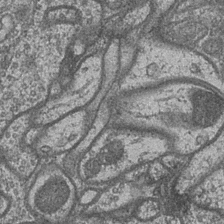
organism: Drosophila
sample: Optic medulla